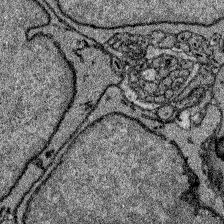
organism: Zebrafish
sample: Larval olfactory bulb